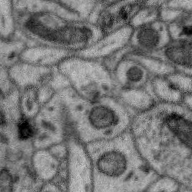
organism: Zebra finch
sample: Brain